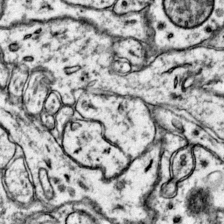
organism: Mouse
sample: Primary visual cortex